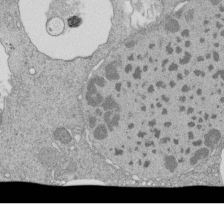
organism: Tetrahymena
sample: Cilia in tetrahymena